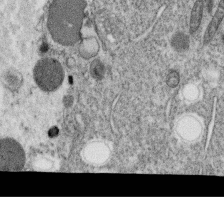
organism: C. elegans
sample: C. elegans oocyte; sperm cells